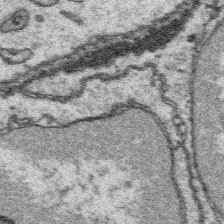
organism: Platynereis dumerilii